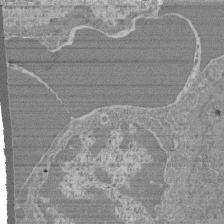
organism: Mouse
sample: Glomerulus